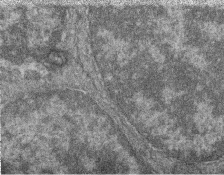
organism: Zebrafish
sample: Cilia; retinal pigment epithelium